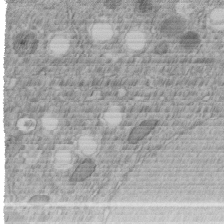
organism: C. elegans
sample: C. elegans embryo early stage